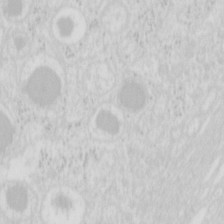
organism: Mouse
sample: Pancreas